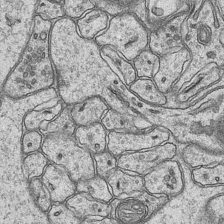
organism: Mouse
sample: CA1 Hippocampus